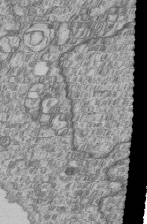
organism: Human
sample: MDA-MB-231 cells